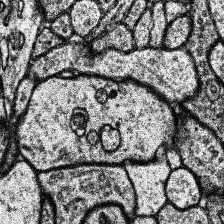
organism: Human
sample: Temporal Lobe